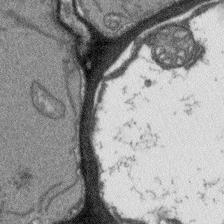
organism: Arabidopsis thaliana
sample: Root tip